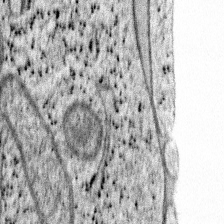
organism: Human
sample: HeLa cells